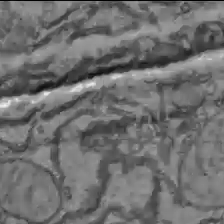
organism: C57BL Mouse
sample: Liver